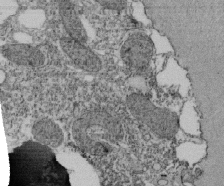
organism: Tetrahymena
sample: Cilia in tetrahymena